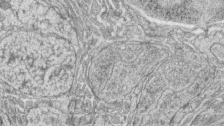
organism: Zebrafish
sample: synaptic ribbons in rod cells and cone cells